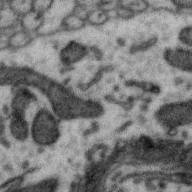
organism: Zebra finch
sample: Brain